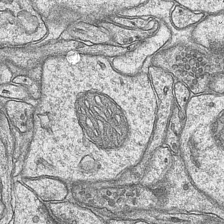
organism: Mouse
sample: CA1 Hippocampus